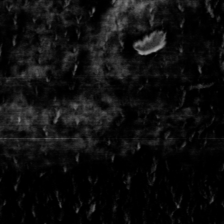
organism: Toxoplasma gondii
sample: Parasites in a vacuole inside a host cell